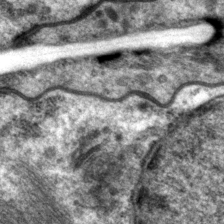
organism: P. pacificus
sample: Pharynx